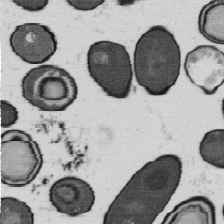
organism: B. subtilis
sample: Bacterial spore